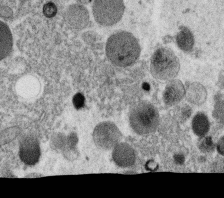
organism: C. elegans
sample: C. elegans oocyte; sperm cells